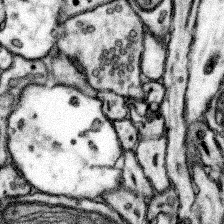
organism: Mouse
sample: Somatosensory cortex neuropil